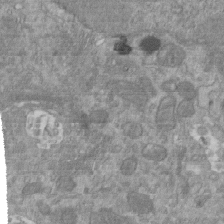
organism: Mouse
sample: ED-1 cell nuclei; centrioles